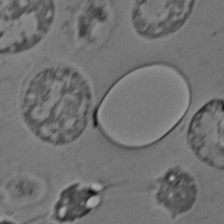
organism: C. elegans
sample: C. elegans embryo